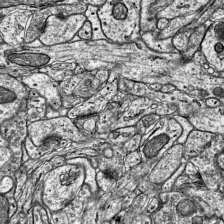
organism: Mouse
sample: Visual Cortex